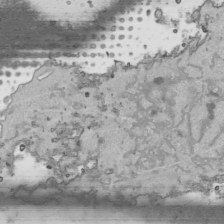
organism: Human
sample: Mitochondria in HCT116 cells